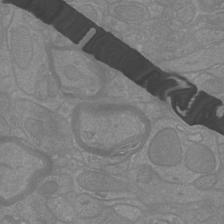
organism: Mouse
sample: Cortical neurons